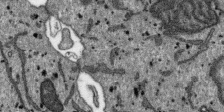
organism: Human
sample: Lung epithelial cells, uninfected (mock) control